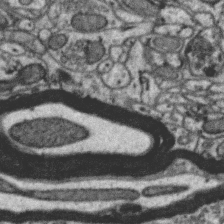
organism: Zebra finch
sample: Brain